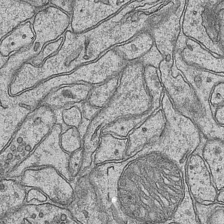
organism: Mouse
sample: CA1 Hippocampus